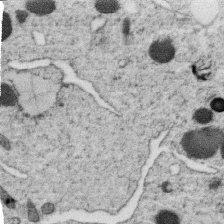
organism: C. elegans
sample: C. elegans oocyte; sperm cells